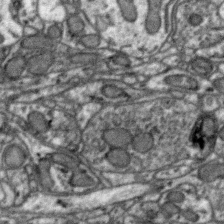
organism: Zebra finch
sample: Brain